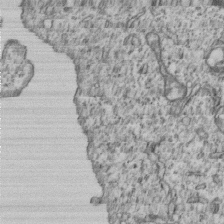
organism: Human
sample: MDA-MB-231 cells